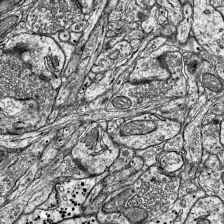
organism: Mouse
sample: Visual Cortex